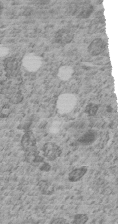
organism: C. elegans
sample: C. elegans embryo early stage